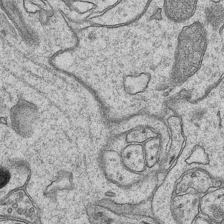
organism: Mouse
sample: CA1 Hippocampus